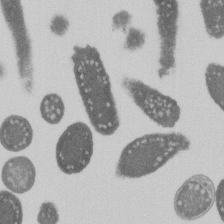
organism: E. coli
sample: Bacterial nucleoid